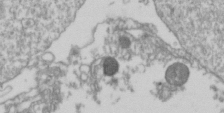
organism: Drosophila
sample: Cell division; meiosis; drosophila spermatocytes